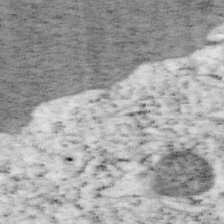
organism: Mouse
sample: OT-I killer T cells with ID8 ovarian cancer cells